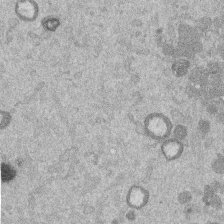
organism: Mouse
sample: Dividing mouse embryo 1 cell stage